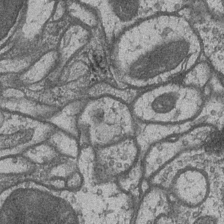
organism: Drosophila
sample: Optic medulla